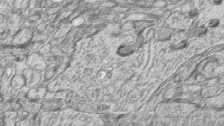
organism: Zebrafish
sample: synaptic ribbons in rod cells and cone cells